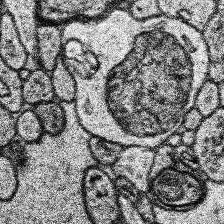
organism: Human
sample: Temporal Lobe